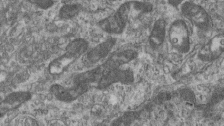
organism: Mouse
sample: Centriole in ependymal cells